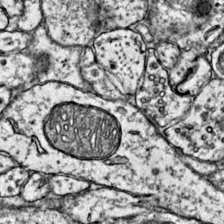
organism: Mouse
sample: Primary visual cortex